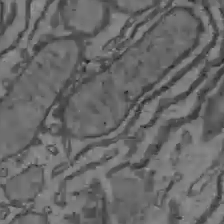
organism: C57BL Mouse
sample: Liver